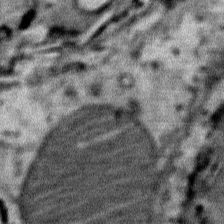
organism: Mouse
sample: Mouse Salivary gland